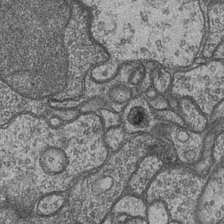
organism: Drosophila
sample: Optic medulla